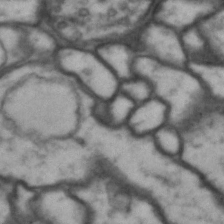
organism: Drosophila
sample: Brain